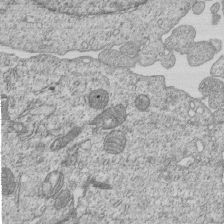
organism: Human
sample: MDA-MB-231 cells